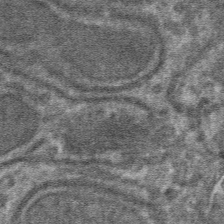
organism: Mouse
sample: Mouse hepatocytes